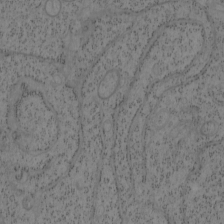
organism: Mouse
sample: OT-I killer T cells with ID8 ovarian cancer cells